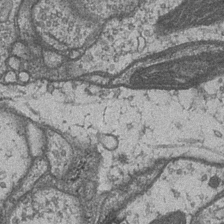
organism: Drosophila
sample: Optic medulla